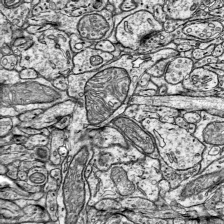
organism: Mouse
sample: Visual Cortex